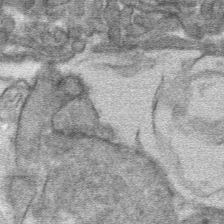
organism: Mouse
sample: Mouse hepatocytes